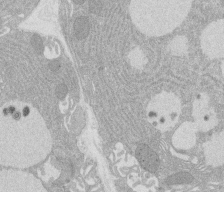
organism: Rat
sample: Salivary granule